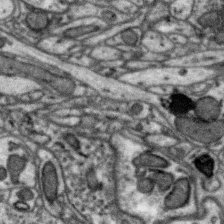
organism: Zebra finch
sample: Brain